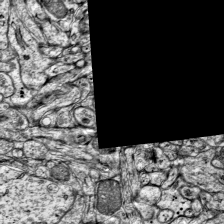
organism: Mouse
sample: Visual Cortex